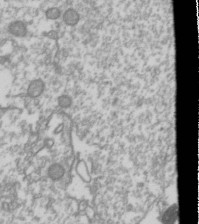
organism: Drosophila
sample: Cell division; meiosis; drosophila spermatocytes